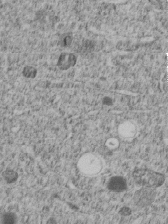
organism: C. elegans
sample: C. elegans embryo early stage